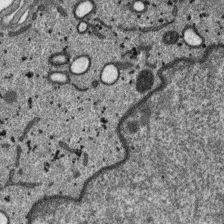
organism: Human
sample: Lung epithelial cells infected with SARS-CoV-2